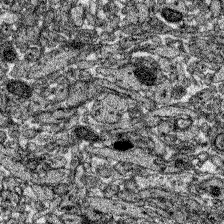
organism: Zebrafish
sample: Larval olfactory bulb